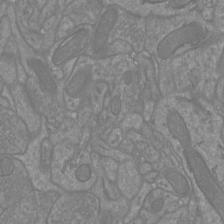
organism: Mouse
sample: Cortical neurons